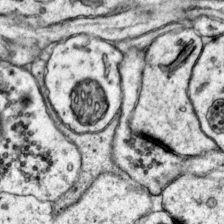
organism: Mouse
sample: Primary visual cortex